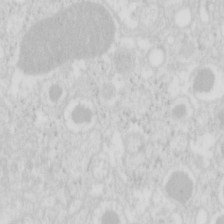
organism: Mouse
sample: Pancreas